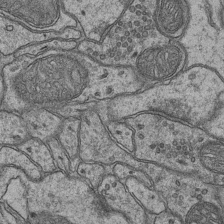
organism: Mouse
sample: CA1 Hippocampus